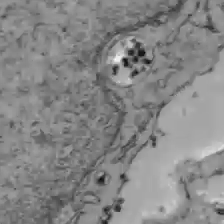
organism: C57BL Mouse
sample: Liver